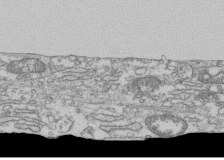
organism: Human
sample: Fibroblast cells